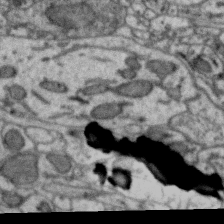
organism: Zebra finch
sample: Brain